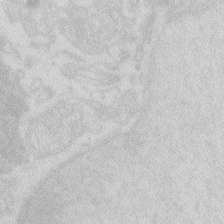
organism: Zebrafish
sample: Macrophage